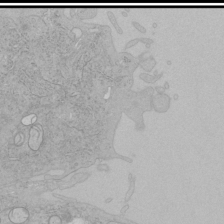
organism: Human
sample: Mitochondria in HCT116 cells